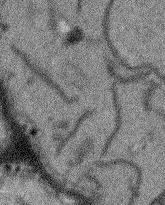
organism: Arabidopsis thaliana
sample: Root tip